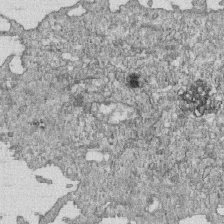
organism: Human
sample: HeLa cell HIV synapse